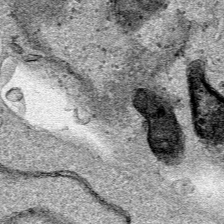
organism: Human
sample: Mitochondria in HCT116 cells